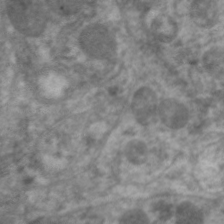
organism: C. elegans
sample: Pharynx